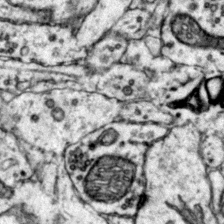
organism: Mouse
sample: Primary visual cortex